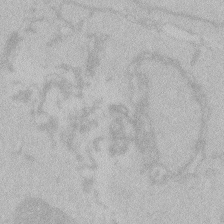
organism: Zebrafish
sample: Macrophage infected with Toxoplasma gondii